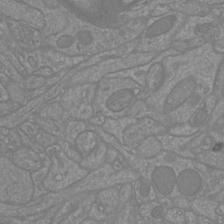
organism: Mouse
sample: Cortical neurons